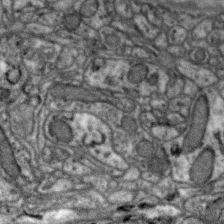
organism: Zebra finch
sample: Brain